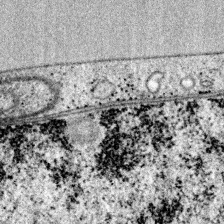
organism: Human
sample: HeLa cells